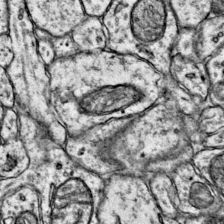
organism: Mouse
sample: Primary visual cortex